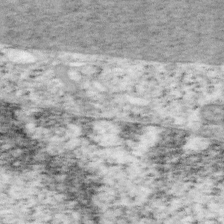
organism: Mouse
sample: OT-I killer T cells with ID8 ovarian cancer cells